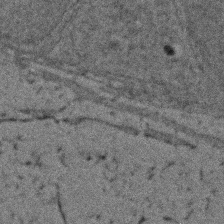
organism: Zebrafish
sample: Zebrafish embryo